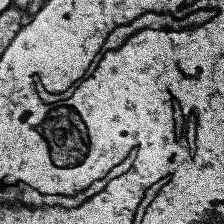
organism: Human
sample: Temporal Lobe